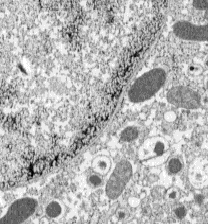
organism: C57BL Mouse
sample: Pancreatic islet